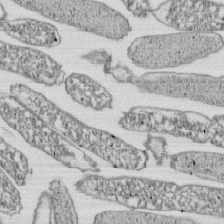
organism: E. coli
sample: Bacterial nucleoid